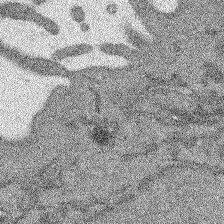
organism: Human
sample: HeLa cells